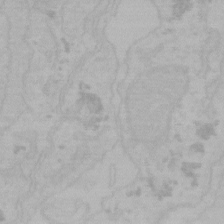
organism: Mouse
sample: Choroid plexus